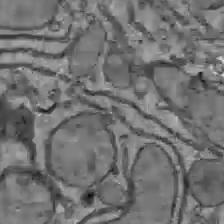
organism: C57BL Mouse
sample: Liver